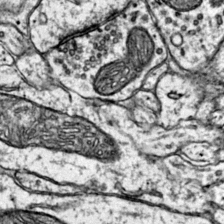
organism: Mouse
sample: Primary visual cortex